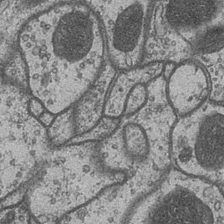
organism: Drosophila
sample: Optic medulla